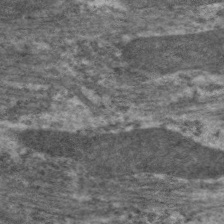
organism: C. elegans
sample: Pharynx